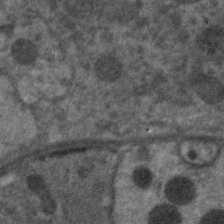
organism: C. elegans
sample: Pharynx